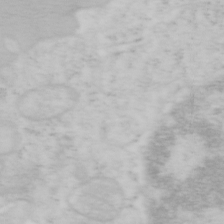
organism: Mouse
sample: OT-I killer T cells with ID8 ovarian cancer cells